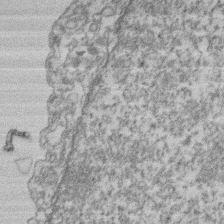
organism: Mouse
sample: T cell stromal cell synapse